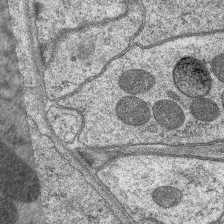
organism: C. elegans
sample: Pharynx